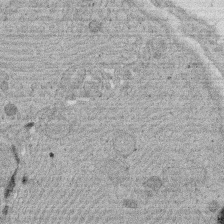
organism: Rat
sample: Salivary granule